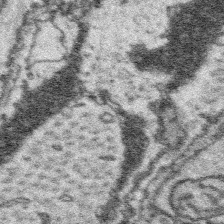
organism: Platynereis dumerilii